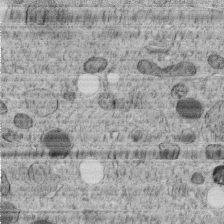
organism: C. elegans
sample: C. elegans embryo early stage